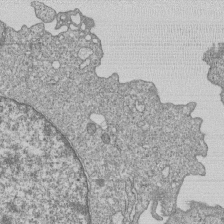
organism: Human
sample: MDA-MB-231 cells